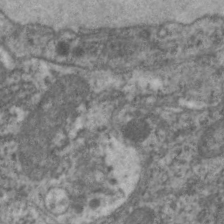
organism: C. elegans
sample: Pharynx